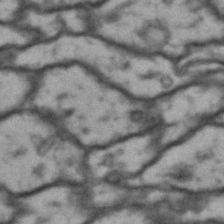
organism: Drosophila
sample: Brain